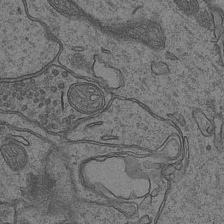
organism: Mouse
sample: CA1 Hippocampus